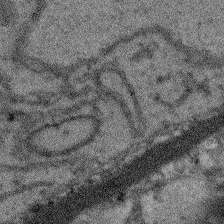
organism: Arabidopsis thaliana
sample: Root tip